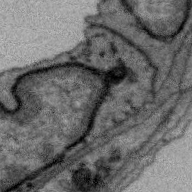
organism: Zebra finch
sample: Brain